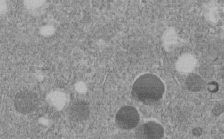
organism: C. elegans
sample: C. elegans embryo early stage